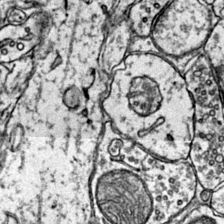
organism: Mouse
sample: Primary visual cortex